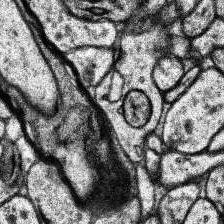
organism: Human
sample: Temporal Lobe